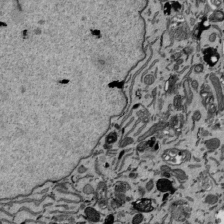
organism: Mouse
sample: ED-1 cell nuclei; centrioles